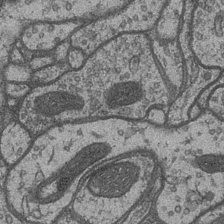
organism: Drosophila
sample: Optic medulla